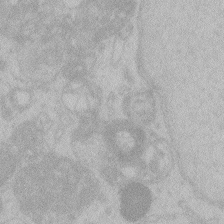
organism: Zebrafish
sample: Macrophage infected with Toxoplasma gondii